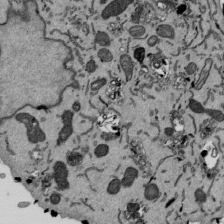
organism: Mouse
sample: ED-1 cell nuclei; centrioles